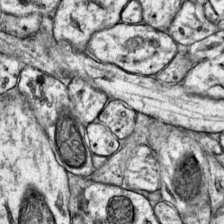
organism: Mouse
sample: Primary visual cortex